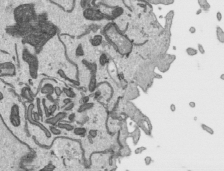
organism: Human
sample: Mitochondria in HCT116 cells